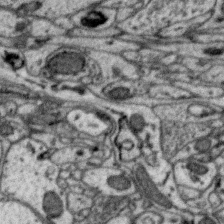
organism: Zebra finch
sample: Brain